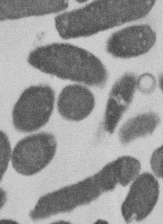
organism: E. coli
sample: Bacterial nucleoid